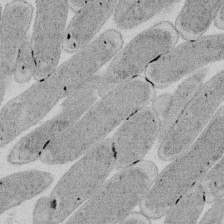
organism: E. coli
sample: Bacterial nucleoid